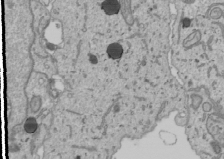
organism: Human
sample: Mitochondria in U2OS cells